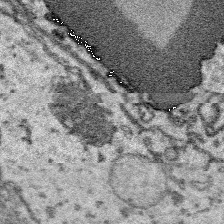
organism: Platynereis dumerilii